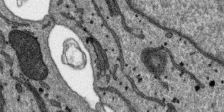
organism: Human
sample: Lung epithelial cells, uninfected (mock) control